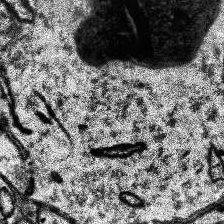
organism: Human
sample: Temporal Lobe